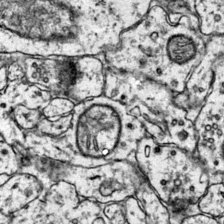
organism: Mouse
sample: Primary visual cortex